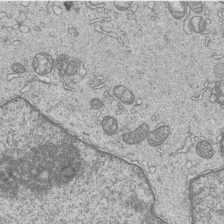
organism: Human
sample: MDA-MB-231 cells